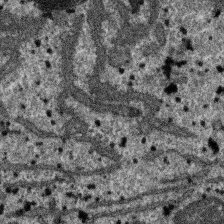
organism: Human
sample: Lung epithelial cells infected with SARS-CoV-2